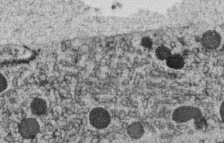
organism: C. elegans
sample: C. elegans oocyte; sperm cells